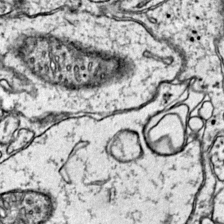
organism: Mouse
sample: Primary visual cortex